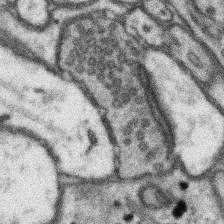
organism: Mouse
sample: Somatosensory cortex neuropil